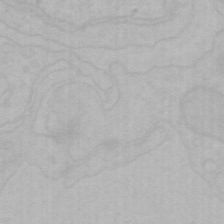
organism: Mouse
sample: Choroid plexus